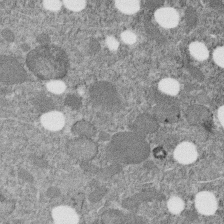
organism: C. elegans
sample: C. elegans embryo early stage